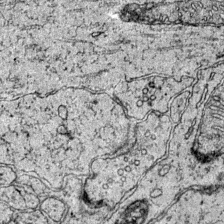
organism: Mouse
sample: Primary visual cortex